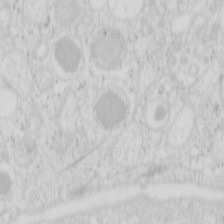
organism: Mouse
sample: Pancreas